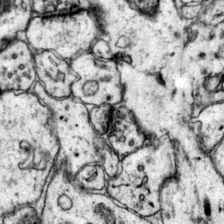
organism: Mouse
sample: Primary visual cortex